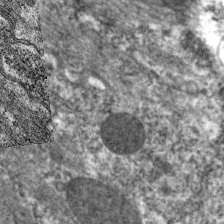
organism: C. elegans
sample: Pharynx